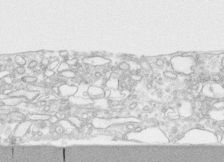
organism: Human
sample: CRL-1474